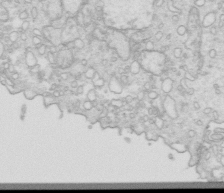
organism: Mouse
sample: Multiciliated cells